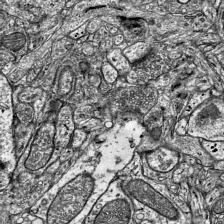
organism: Mouse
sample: Visual Cortex